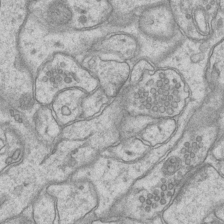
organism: Mouse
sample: CA1 Hippocampus